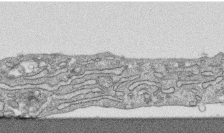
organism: Human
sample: CRL-1474